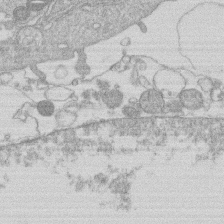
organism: Human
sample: Macrophage cells